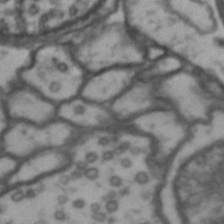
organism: Drosophila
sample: Brain